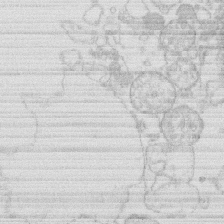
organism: Human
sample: Macrophage cells